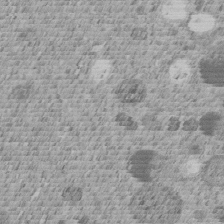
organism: C. elegans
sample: C. elegans embryo early stage